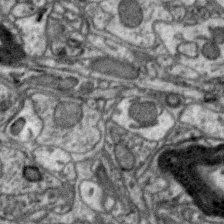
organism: Zebra finch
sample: Brain